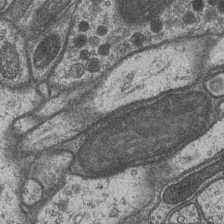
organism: Drosophila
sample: Optic medulla